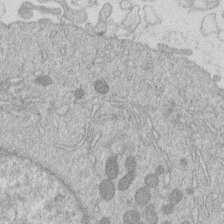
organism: Human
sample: Macrophage cells